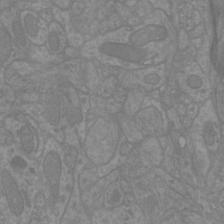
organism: Mouse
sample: Cortical neurons